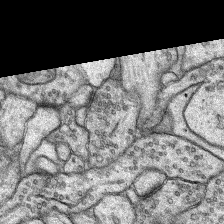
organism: Rat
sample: Hippocampus